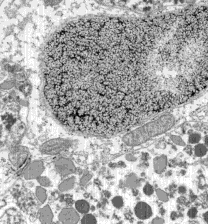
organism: C57BL Mouse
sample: Pancreatic islet